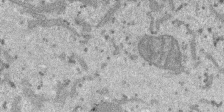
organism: Human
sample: Lung epithelial cells infected with SARS-CoV-2